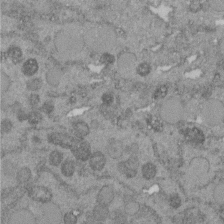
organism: C. elegans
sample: C. elegans embryo early stage